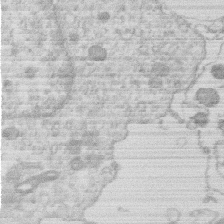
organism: Human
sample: Macrophage cells